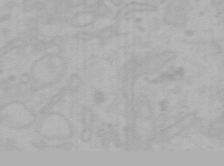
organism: Mouse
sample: Choroid plexus